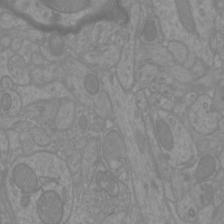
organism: Mouse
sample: Cortical neurons